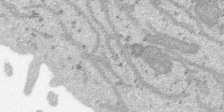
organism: Human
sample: Lung epithelial cells infected with SARS-CoV-2